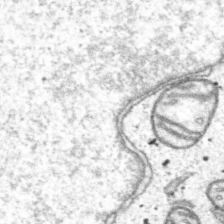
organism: Human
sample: HeLa cells